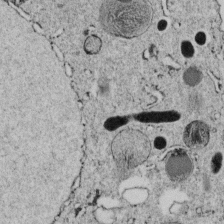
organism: C. elegans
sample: C. elegans embryo early stage